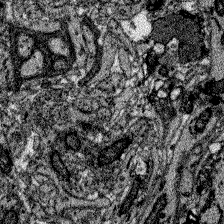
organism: Zebrafish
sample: Larval olfactory bulb